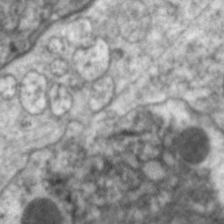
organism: C. elegans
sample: Pharynx